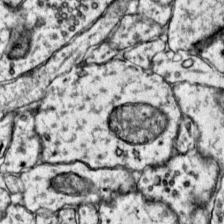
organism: Mouse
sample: Primary visual cortex